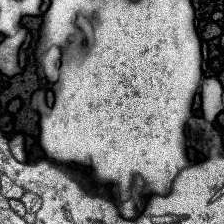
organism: Human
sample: Temporal Lobe